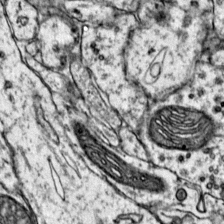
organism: Mouse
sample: Primary visual cortex